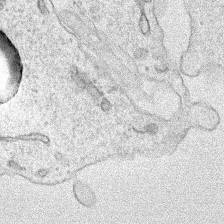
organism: Human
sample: Mitochondria in HCT116 cells